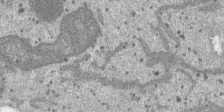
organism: Human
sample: Lung epithelial cells infected with SARS-CoV-2